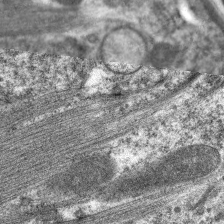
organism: C. elegans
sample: Pharynx